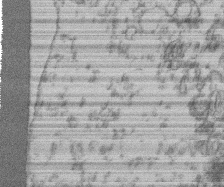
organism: Mouse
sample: T cell stromal cell synapse